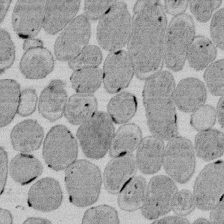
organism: E. coli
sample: Bacterial nucleoid